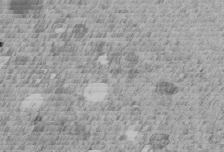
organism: C. elegans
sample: C. elegans embryo early stage